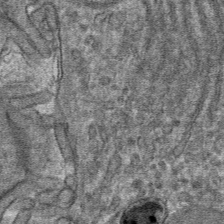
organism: Mouse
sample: Mouse hepatocytes